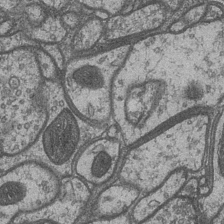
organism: Drosophila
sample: Optic medulla